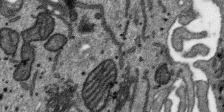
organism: Human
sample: Lung epithelial cells, uninfected (mock) control